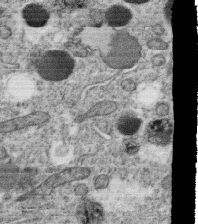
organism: C. elegans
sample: C. elegans oocyte; sperm cells